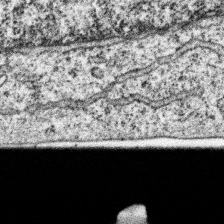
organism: Human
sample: HeLa cells